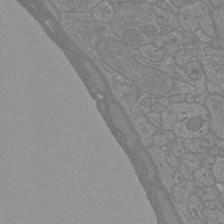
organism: Mouse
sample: Cortical neurons